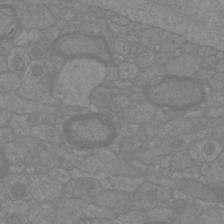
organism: Mouse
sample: Cortical neurons